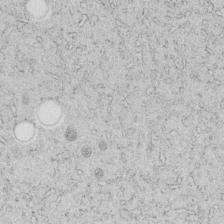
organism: C. elegans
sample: C. elegans embryo early stage